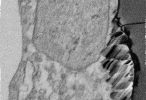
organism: Human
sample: Centriole in fibroblast cells